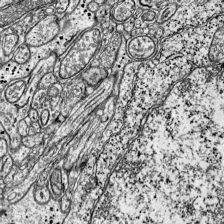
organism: Mouse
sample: Visual Cortex